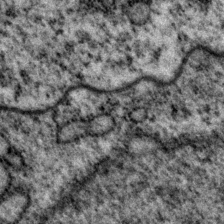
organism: P. pacificus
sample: Pharynx